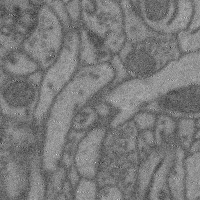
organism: Mouse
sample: Cerebral cortex